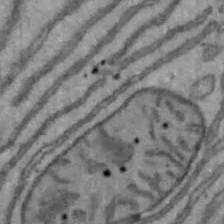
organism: Mouse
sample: Liver